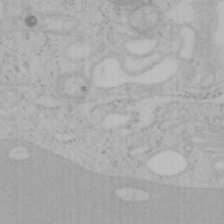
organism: Mouse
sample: OT-I killer T cells with ID8 ovarian cancer cells